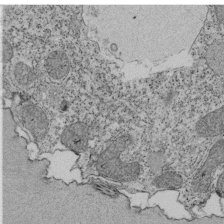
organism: Tetrahymena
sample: Cilia in tetrahymena